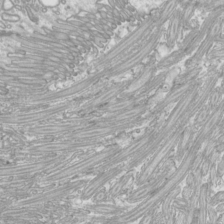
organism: Mouse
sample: Cilia; mouse epididymis